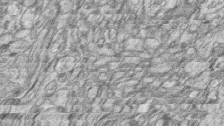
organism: Zebrafish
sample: synaptic ribbons in rod cells and cone cells